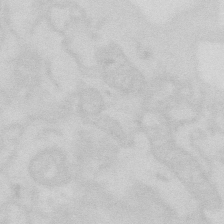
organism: Human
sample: HeLa cells